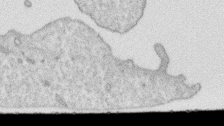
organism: Human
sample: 1205lu cells